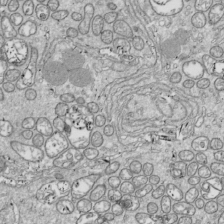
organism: Drosophila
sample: Cell division; meiosis; drosophila spermatocytes